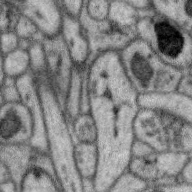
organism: Zebra finch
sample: Brain